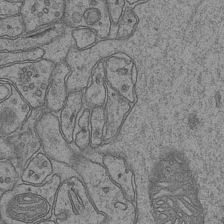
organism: Mouse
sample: CA1 Hippocampus